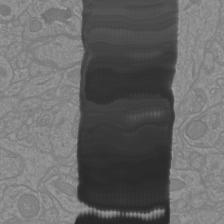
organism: Mouse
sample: Cortical neurons